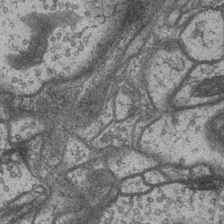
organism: Drosophila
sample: Optic medulla